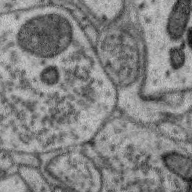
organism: Zebra finch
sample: Brain